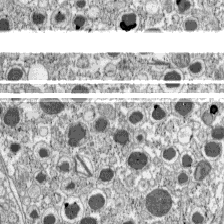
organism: C57BL Mouse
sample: Pancreatic islet